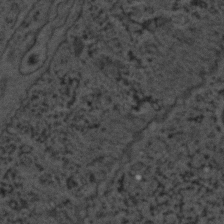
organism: C. elegans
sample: C. elegans embryo